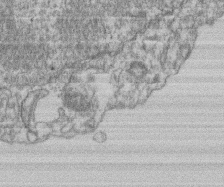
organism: Mouse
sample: T cell stromal cell synapse